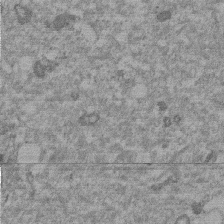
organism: Mouse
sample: Dividing mouse embryo 1 cell stage